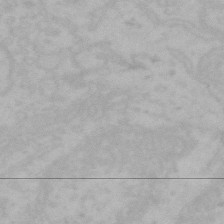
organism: Mouse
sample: Choroid plexus